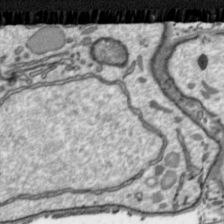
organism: Toxoplasma gondii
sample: Parasites in a vacuole inside a host cell